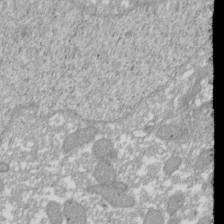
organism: Xenopus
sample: Cilia; centrioles in frog embryo cells